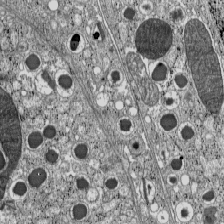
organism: C57BL Mouse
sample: Pancreatic islet